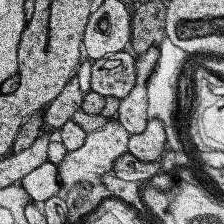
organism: Human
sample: Temporal Lobe